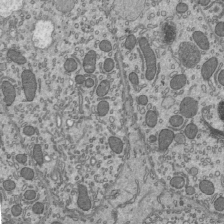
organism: Mouse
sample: Mouse epididymis efferent ductule cilia